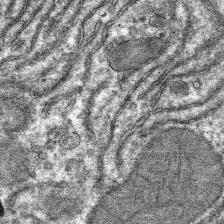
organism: Mouse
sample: Mouse hepatocytes